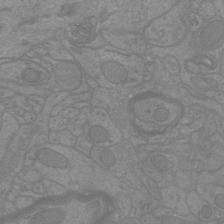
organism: Mouse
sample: Cortical neurons